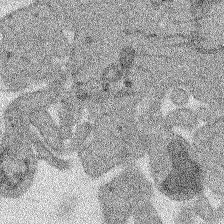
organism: Human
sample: HeLa cells